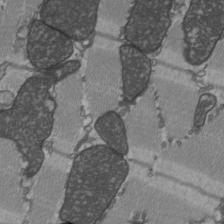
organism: C57BL Mouse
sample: Heart